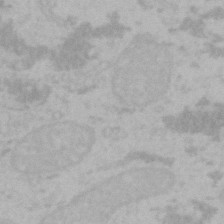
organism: Mouse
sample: Choroid plexus